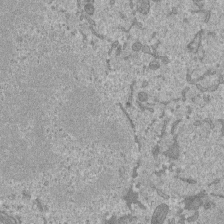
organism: Mouse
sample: ED-1 cell nuclei; centrioles